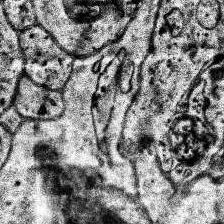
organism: Human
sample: Temporal Lobe